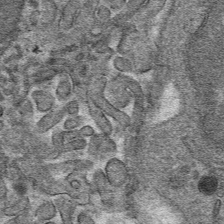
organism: Mouse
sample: Mouse hepatocytes